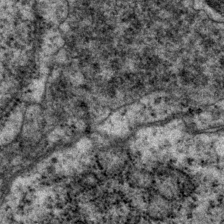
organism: P. pacificus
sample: Pharynx